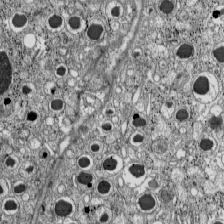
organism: C57BL Mouse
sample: Pancreatic islet